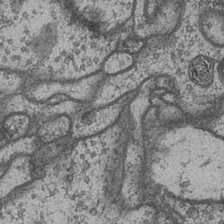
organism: Drosophila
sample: Optic medulla